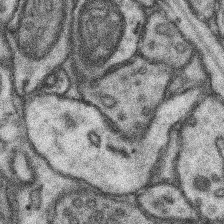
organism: Mouse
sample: Somatosensory cortex neuropil